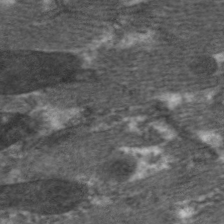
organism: C. elegans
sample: Pharynx